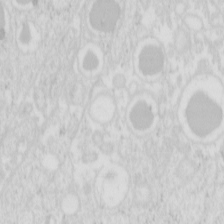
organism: Mouse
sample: Pancreas